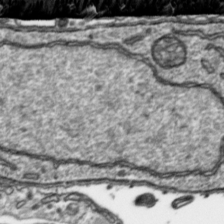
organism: Toxoplasma gondii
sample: Parasites in a vacuole inside a host cell